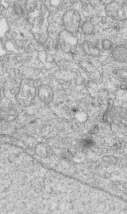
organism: Human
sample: HeLa cell HIV synapse